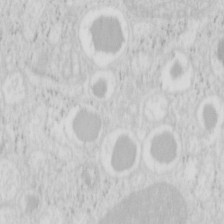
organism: Mouse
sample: Pancreas